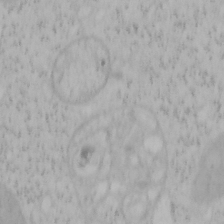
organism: Mouse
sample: OT-I killer T cells with ID8 ovarian cancer cells